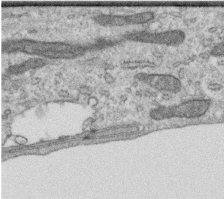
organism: Human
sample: Centriole in RPE cells